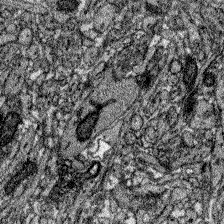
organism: Zebrafish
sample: Larval olfactory bulb